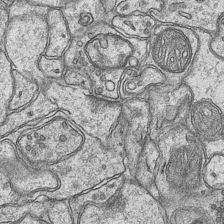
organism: Mouse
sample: CA1 Hippocampus